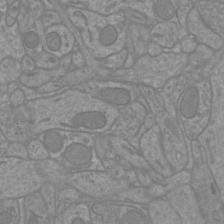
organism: Mouse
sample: Cortical neurons